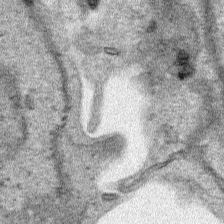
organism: Human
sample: Mitochondria in HCT116 cells